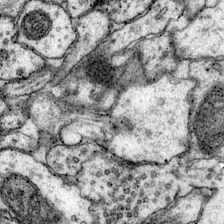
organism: Mouse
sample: Primary visual cortex